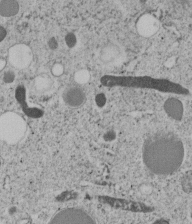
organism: C. elegans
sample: C. elegans embryo early stage